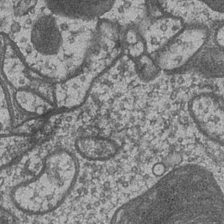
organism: Drosophila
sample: Optic medulla